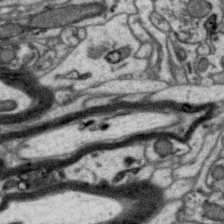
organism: Zebra finch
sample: Brain